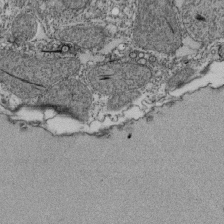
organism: Tetrahymena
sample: Cilia in tetrahymena